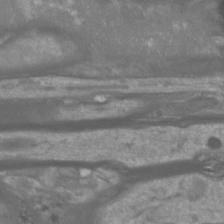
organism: Mouse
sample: Cortical neurons